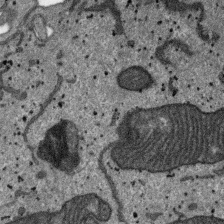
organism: Human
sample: Lung epithelial cells, uninfected (mock) control